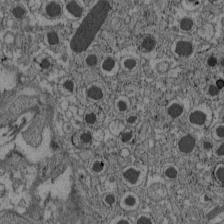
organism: C57BL Mouse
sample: Pancreatic islet